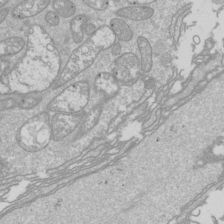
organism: Drosophila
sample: Cell division; meiosis; drosophila spermatocytes